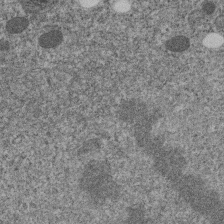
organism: C. elegans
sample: C. elegans embryo early stage